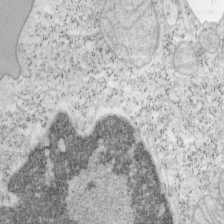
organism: Mouse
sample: OT-I killer T cells with ID8 ovarian cancer cells